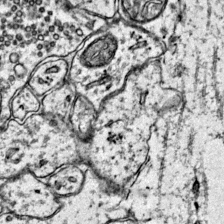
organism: Mouse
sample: Primary visual cortex